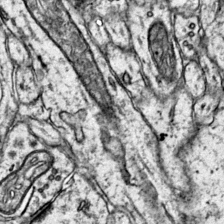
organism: Mouse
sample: Primary visual cortex